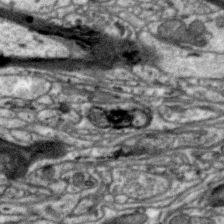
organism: Zebra finch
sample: Brain